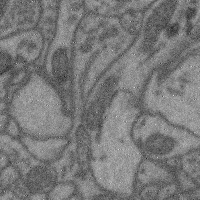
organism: Mouse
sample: Cerebral cortex